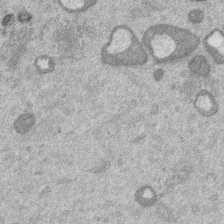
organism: Mouse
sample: Dividing mouse embryo 1 cell stage